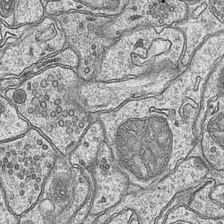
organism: Mouse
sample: CA1 Hippocampus